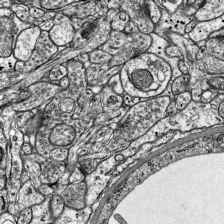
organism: Mouse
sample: Visual Cortex